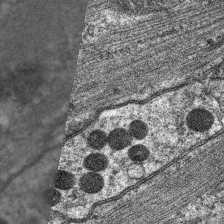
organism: C. elegans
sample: Pharynx